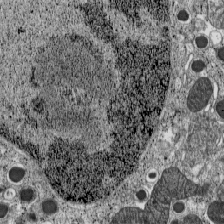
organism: C57BL Mouse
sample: Pancreatic islet